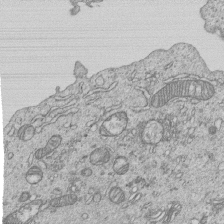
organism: Human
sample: MDA-MB-231 cells